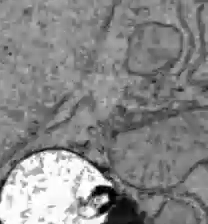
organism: C57BL Mouse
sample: Liver